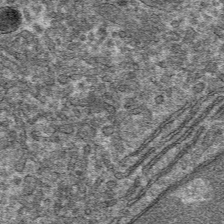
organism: Mouse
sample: Mouse hepatocytes